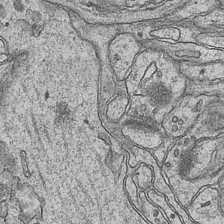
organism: Mouse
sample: CA1 Hippocampus